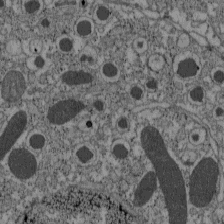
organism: C57BL Mouse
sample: Pancreatic islet